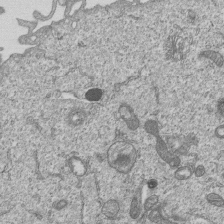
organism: Human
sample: MDA-MB-231 cells